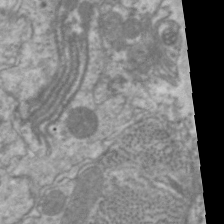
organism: C. elegans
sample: Pharynx